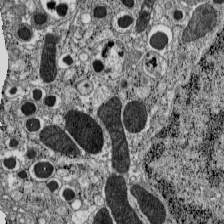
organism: C57BL Mouse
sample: Pancreatic islet